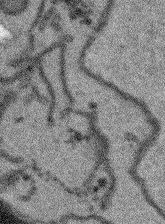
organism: Arabidopsis thaliana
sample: Root tip